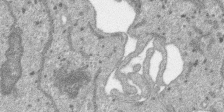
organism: Human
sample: Lung epithelial cells infected with SARS-CoV-2